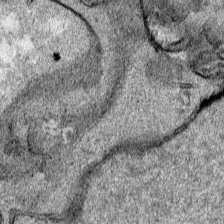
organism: Human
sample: Mitochondria in HCT116 cells